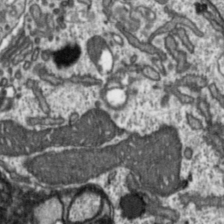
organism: Toxoplasma gondii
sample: Parasites in a vacuole inside a host cell